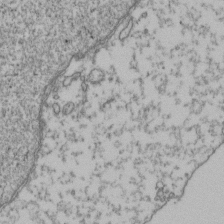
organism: Human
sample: Activated Jurkat CD4+ T cells